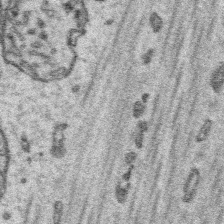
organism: Platynereis dumerilii